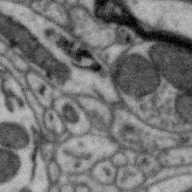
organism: Zebra finch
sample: Brain